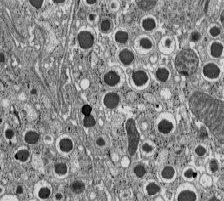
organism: C57BL Mouse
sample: Pancreatic islet